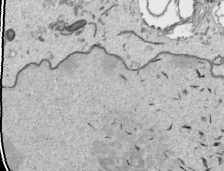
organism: Human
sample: Mitochondria in HCT116 cells